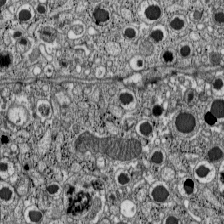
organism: C57BL Mouse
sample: Pancreatic islet